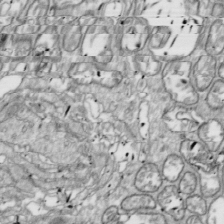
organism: Drosophila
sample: Cell division; meiosis; drosophila spermatocytes